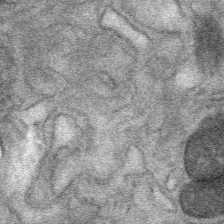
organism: Mouse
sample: Mouse Salivary gland